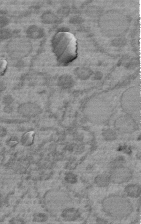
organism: C. elegans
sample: C. elegans embryo early stage